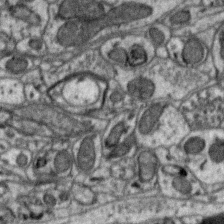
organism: Zebra finch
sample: Brain